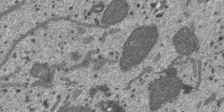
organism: Human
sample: Lung epithelial cells infected with SARS-CoV-2